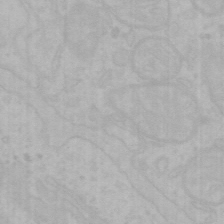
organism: Mouse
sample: Choroid plexus